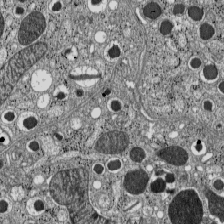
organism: C57BL Mouse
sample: Pancreatic islet